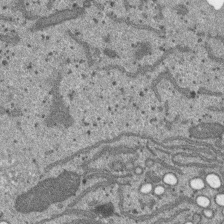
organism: Human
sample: Lung epithelial cells infected with SARS-CoV-2